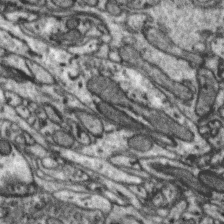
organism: Zebra finch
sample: Brain